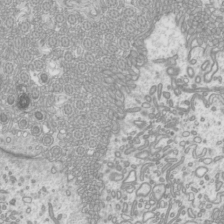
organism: Mouse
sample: Cilia; mouse epididymis